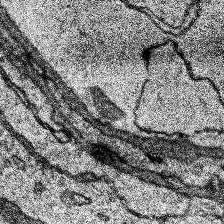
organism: Human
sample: Temporal Lobe